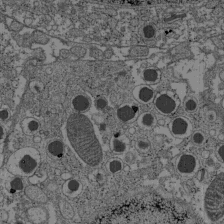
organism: C57BL Mouse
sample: Pancreatic islet